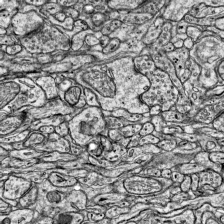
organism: Mouse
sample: Visual Cortex